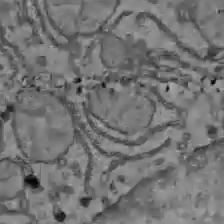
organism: C57BL Mouse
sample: Liver